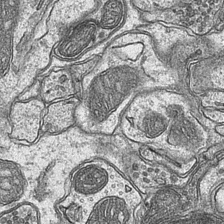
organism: Mouse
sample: CA1 Hippocampus